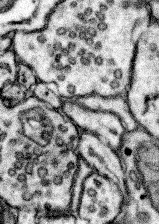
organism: Mouse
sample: Somatosensory cortex neuropil